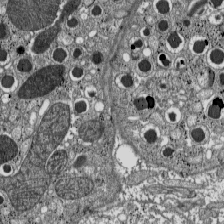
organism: C57BL Mouse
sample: Pancreatic islet